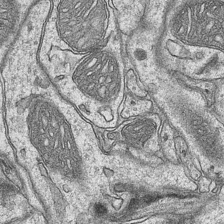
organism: Mouse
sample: CA1 Hippocampus